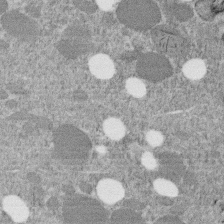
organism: C. elegans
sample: C. elegans embryo early stage